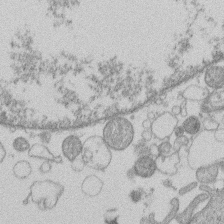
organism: Human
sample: Macrophage cells